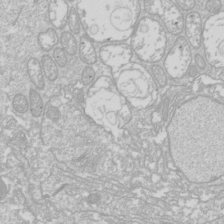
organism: Drosophila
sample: Cell division; meiosis; drosophila spermatocytes